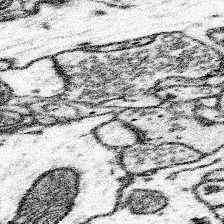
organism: Mouse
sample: Somatosensory cortex neuropil